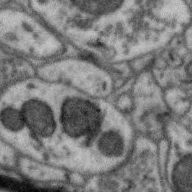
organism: Zebra finch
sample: Brain